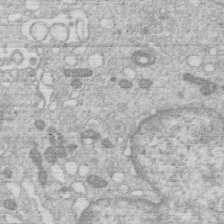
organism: Human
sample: Macrophage cells